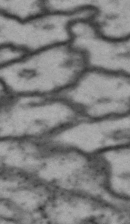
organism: Drosophila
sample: Brain